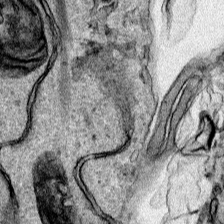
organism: Human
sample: Mitochondria in HCT116 cells